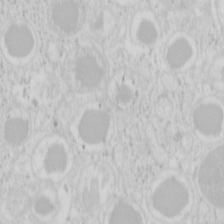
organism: Mouse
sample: Pancreas